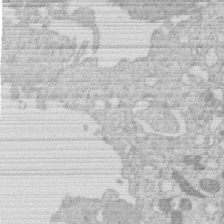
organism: Human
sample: Macrophage cells